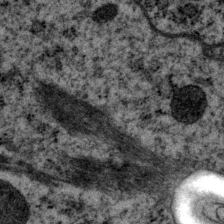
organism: P. pacificus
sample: Pharynx